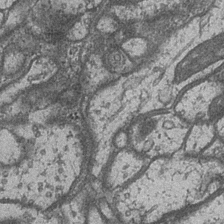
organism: Drosophila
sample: Optic medulla